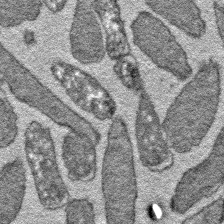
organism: E. coli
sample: E. Coli Bacteria